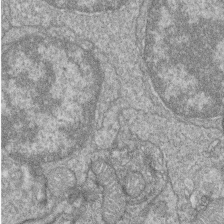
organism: Zebrafish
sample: Cilia; retinal pigment epithelium